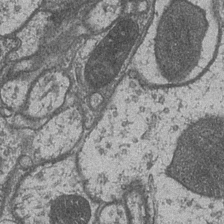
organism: Drosophila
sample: Optic medulla